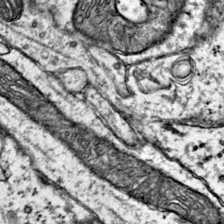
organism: Mouse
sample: Primary visual cortex